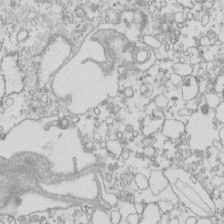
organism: Mouse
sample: Macrophages